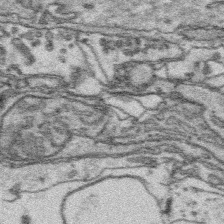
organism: Platynereis dumerilii